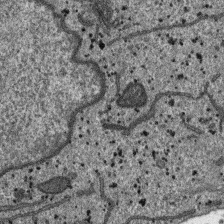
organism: Human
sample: Lung epithelial cells infected with SARS-CoV-2